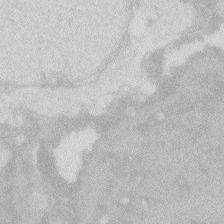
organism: Zebrafish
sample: Macrophage